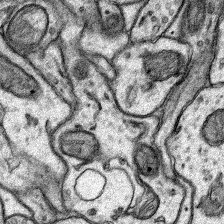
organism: Rat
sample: Hippocampus